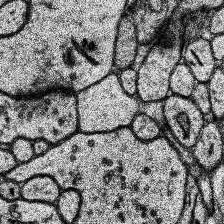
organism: Human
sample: Temporal Lobe